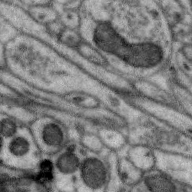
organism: Zebra finch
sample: Brain